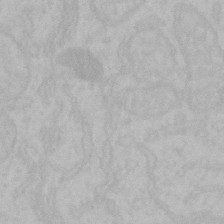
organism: Mouse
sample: Choroid plexus